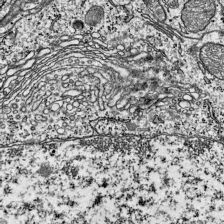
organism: Mouse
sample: Visual Cortex